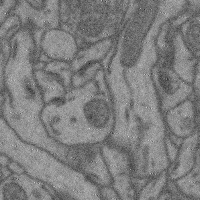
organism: Mouse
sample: Cerebral cortex